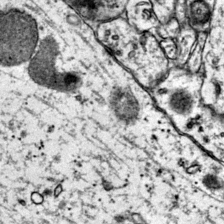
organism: Mouse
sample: Primary visual cortex